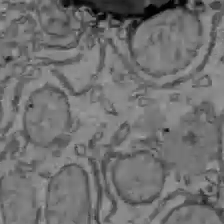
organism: C57BL Mouse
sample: Liver